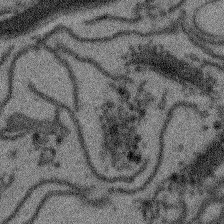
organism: Arabidopsis thaliana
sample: Root tip